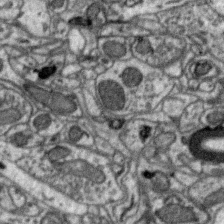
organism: Zebra finch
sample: Brain